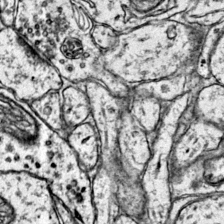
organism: Mouse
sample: Primary visual cortex